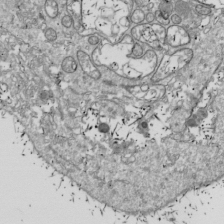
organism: Drosophila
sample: Cell division; meiosis; drosophila spermatocytes